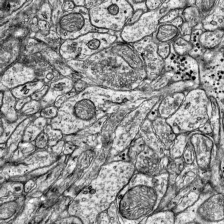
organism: Mouse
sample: Visual Cortex